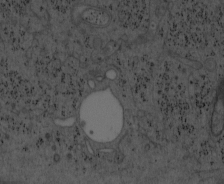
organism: Mouse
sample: OT-I killer T cells with ID8 ovarian cancer cells